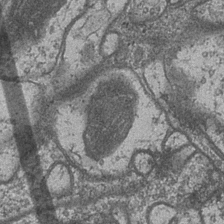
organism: Drosophila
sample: Optic medulla